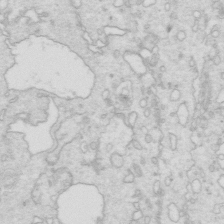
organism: Mouse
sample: Multiciliated cells